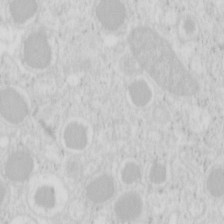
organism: Mouse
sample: Pancreas